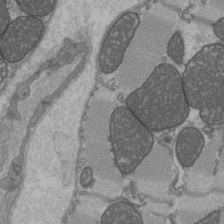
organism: C57BL Mouse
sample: Heart